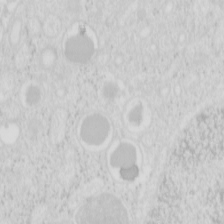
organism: Mouse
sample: Pancreas